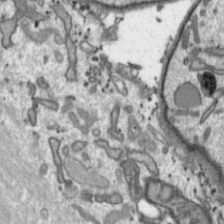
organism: Toxoplasma gondii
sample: Parasites in a vacuole inside a host cell